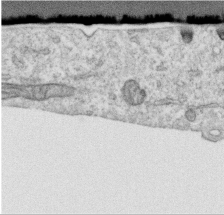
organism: Human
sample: Centriole in RPE cells